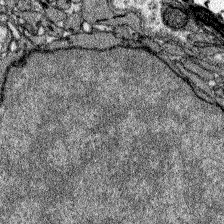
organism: Zebrafish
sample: Larval olfactory bulb